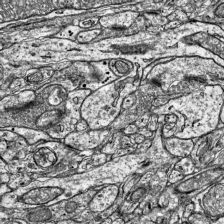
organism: Mouse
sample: Visual Cortex